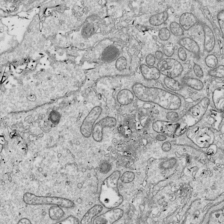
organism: Drosophila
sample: Cell division; meiosis; drosophila spermatocytes